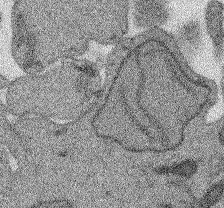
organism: Human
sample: HeLa cells